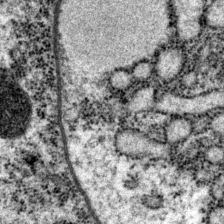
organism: P. pacificus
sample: Pharynx